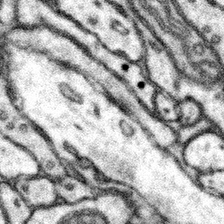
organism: Mouse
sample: Somatosensory cortex neuropil